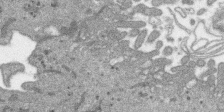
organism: Human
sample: Lung epithelial cells infected with SARS-CoV-2